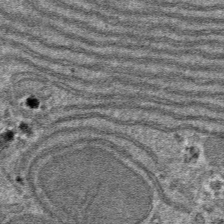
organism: Mouse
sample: Mouse hepatocytes